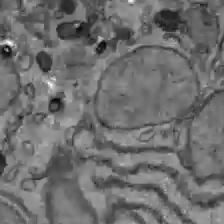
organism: C57BL Mouse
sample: Liver